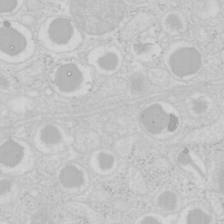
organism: Mouse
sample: Pancreas